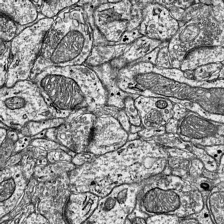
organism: Mouse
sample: Visual Cortex